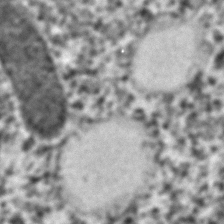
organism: C. elegans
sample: C. elegans embryo